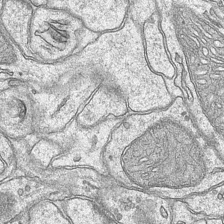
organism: Mouse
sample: CA1 Hippocampus